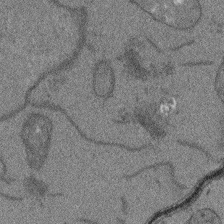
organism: Arabidopsis thaliana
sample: Root tip